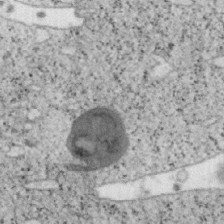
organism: Mouse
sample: OT-I killer T cells with ID8 ovarian cancer cells